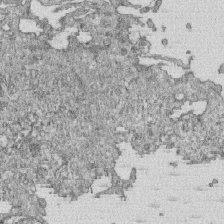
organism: Human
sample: HeLa cell HIV synapse